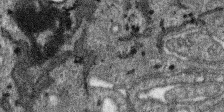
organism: Human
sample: Lung epithelial cells infected with SARS-CoV-2